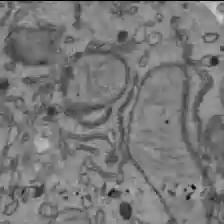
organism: C57BL Mouse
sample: Liver